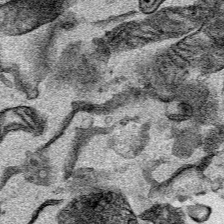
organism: Mouse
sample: Cancer cell death in ED-1 cells